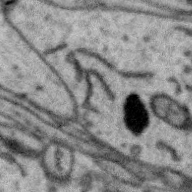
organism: Zebra finch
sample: Brain